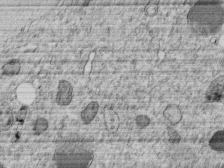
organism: C. elegans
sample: C. elegans embryo early stage